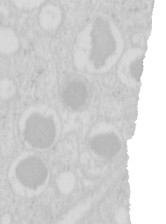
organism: Mouse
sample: Pancreas